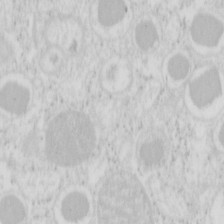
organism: Mouse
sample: Pancreas